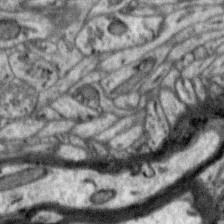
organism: Zebra finch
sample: Brain